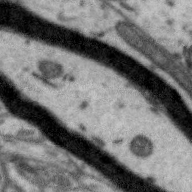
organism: Zebra finch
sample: Brain